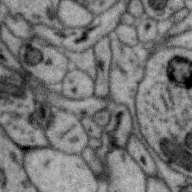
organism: Zebra finch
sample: Brain